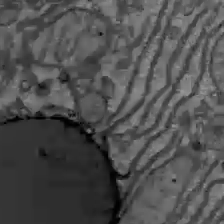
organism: C57BL Mouse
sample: Liver